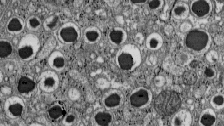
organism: C57BL Mouse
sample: Pancreatic islet